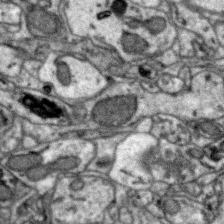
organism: Zebra finch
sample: Brain